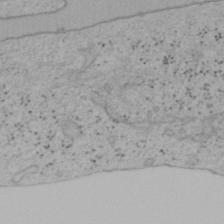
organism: Human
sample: HeLa cells